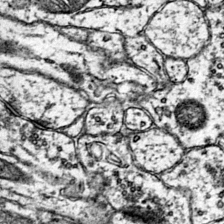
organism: Mouse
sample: Primary visual cortex